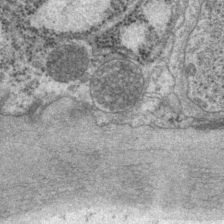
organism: P. pacificus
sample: Pharynx